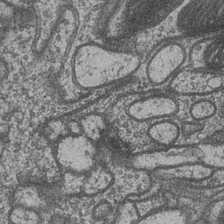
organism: Drosophila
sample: Optic medulla